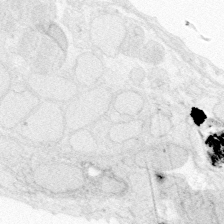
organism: Zebrafish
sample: Whole-Brain